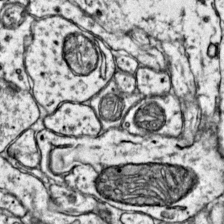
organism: Mouse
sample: Primary visual cortex